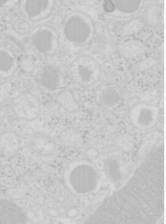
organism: Mouse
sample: Pancreas